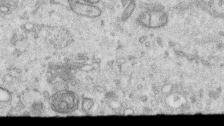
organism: Human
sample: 1205lu cells